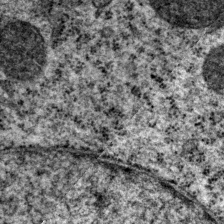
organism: P. pacificus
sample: Pharynx